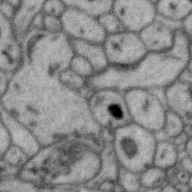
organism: Zebra finch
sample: Brain